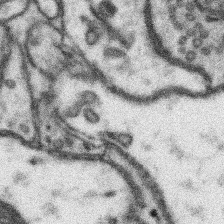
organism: Mouse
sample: Somatosensory cortex neuropil